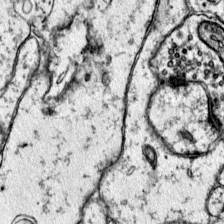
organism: Mouse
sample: Primary visual cortex